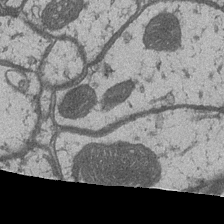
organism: Drosophila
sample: Optic medulla